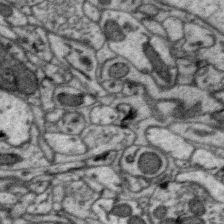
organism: Zebra finch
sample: Brain